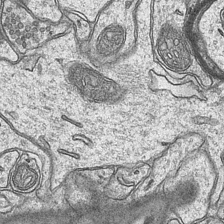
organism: Mouse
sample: CA1 Hippocampus